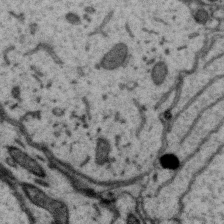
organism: Zebra finch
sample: Brain